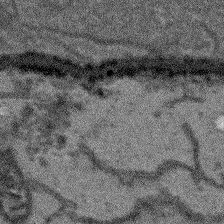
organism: Arabidopsis thaliana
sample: Root tip